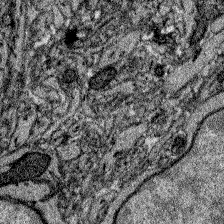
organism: Zebrafish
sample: Larval olfactory bulb